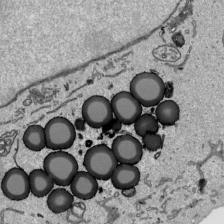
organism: Human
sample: Mitochondria in HCT116 cells